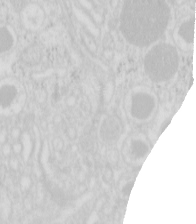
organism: Mouse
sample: Pancreas